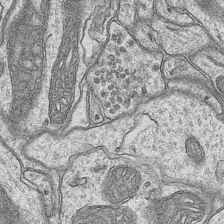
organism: Mouse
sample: CA1 Hippocampus